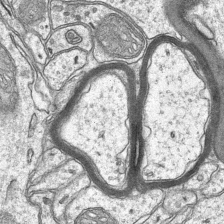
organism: Mouse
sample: CA1 Hippocampus